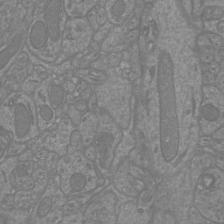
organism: Mouse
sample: Cortical neurons